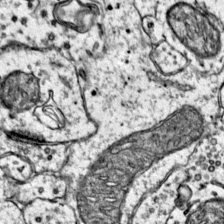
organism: Mouse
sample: Primary visual cortex